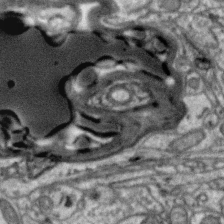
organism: Zebra finch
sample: Brain